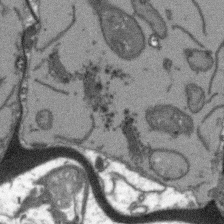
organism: Arabidopsis thaliana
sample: Root tip